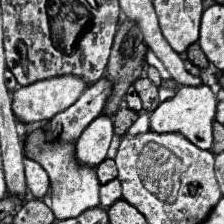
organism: Human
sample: Temporal Lobe